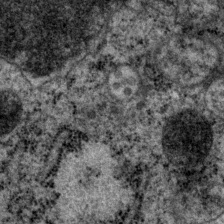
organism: P. pacificus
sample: Pharynx